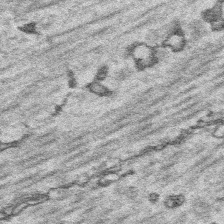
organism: Platynereis dumerilii